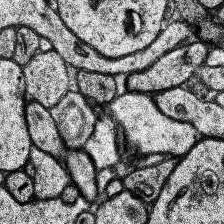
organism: Human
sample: Temporal Lobe